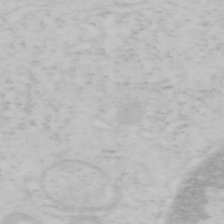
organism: Mouse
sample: OT-I killer T cells with ID8 ovarian cancer cells